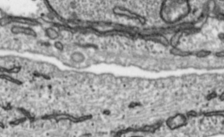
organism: Toxoplasma gondii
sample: Parasites in a vacuole inside a host cell